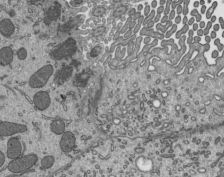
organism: Mouse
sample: Mouse epididymis efferent ductule cilia